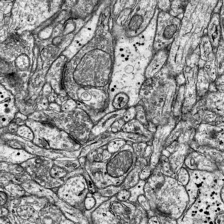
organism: Mouse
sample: Visual Cortex